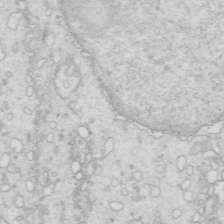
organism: Mouse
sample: Multiciliated cells